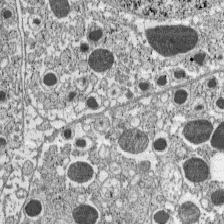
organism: C57BL Mouse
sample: Pancreatic islet